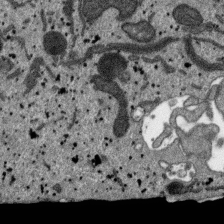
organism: Human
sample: Lung epithelial cells, uninfected (mock) control